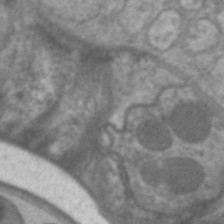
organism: C. elegans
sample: Pharynx